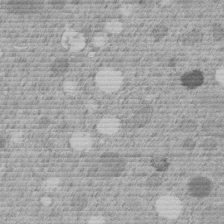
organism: C. elegans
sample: C. elegans embryo early stage